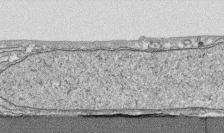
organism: Human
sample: CRL-1474